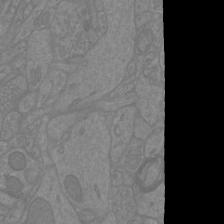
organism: Mouse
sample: Cortical neurons